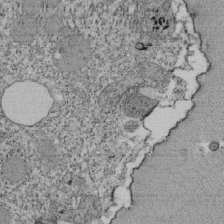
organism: Tetrahymena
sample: Cilia in tetrahymena